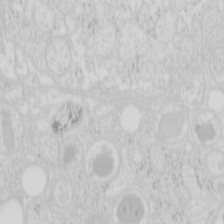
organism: Mouse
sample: Pancreas